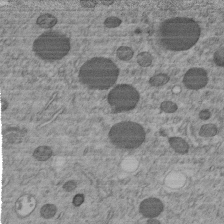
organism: C. elegans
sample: C. elegans embryo early stage